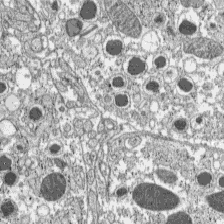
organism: C57BL Mouse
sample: Pancreatic islet